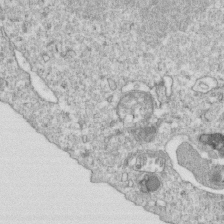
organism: Mouse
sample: Activated OT-1 CD8+ T cells